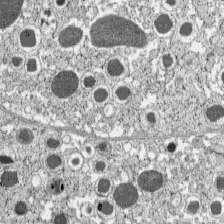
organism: C57BL Mouse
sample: Pancreatic islet